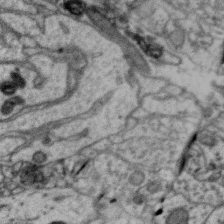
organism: Zebra finch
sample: Brain